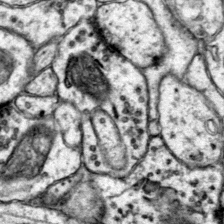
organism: Mouse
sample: Primary visual cortex